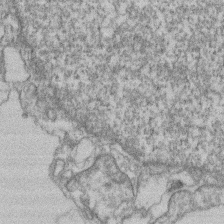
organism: Mouse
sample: T cell stromal cell synapse